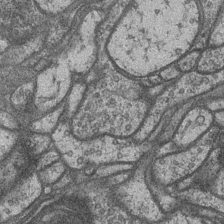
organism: Drosophila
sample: Optic medulla